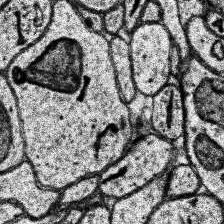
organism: Human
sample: Temporal Lobe